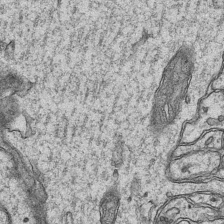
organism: Mouse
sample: CA1 Hippocampus